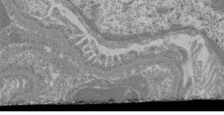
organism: Mouse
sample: Glomerulus